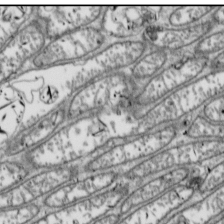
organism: Drosophila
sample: Cell division; meiosis; drosophila spermatocytes